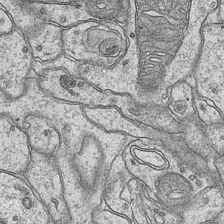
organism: Mouse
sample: CA1 Hippocampus